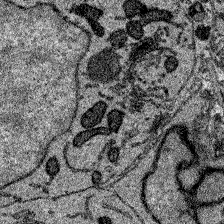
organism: Zebrafish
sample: Larval olfactory bulb